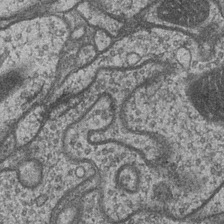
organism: Drosophila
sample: Optic medulla